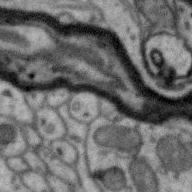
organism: Zebra finch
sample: Brain